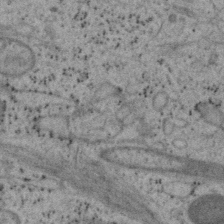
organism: Human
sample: HeLa cells